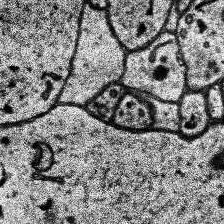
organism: Human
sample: Temporal Lobe